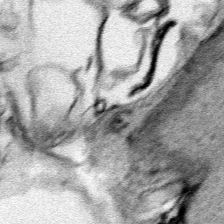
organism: Human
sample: Mitochondria in HCT116 cells